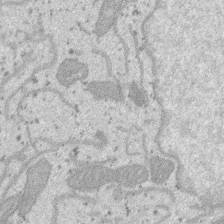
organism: Human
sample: Lung epithelial cells infected with SARS-CoV-2